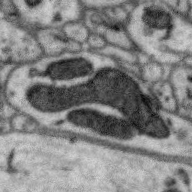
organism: Zebra finch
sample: Brain